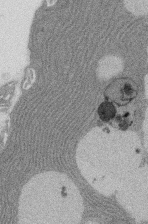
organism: Rat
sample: Salivary granule